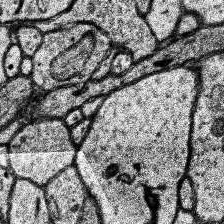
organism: Human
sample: Temporal Lobe